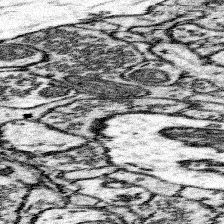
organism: Mouse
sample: Somatosensory cortex neuropil